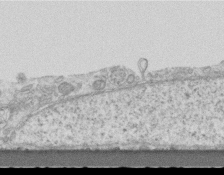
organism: Mouse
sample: Centriole in ependymal cells